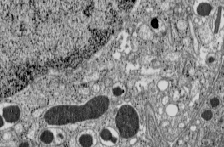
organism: C57BL Mouse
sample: Pancreatic islet